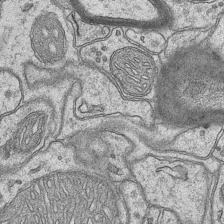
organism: Mouse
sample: CA1 Hippocampus